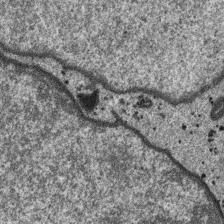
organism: Human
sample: Lung epithelial cells infected with SARS-CoV-2